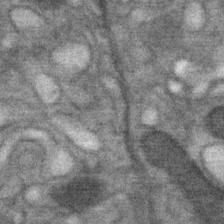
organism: Mouse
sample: Mouse Salivary gland